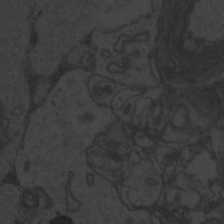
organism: Zebrafish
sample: Macrophage infected with Toxoplasma gondii